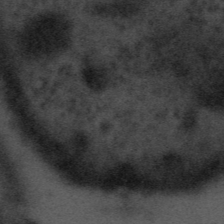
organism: Tuwongella immobilis